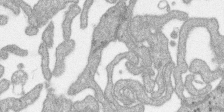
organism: Human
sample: Lung epithelial cells infected with SARS-CoV-2